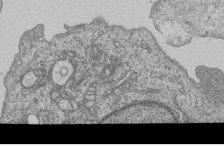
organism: Human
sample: MDA-MB-231 cells